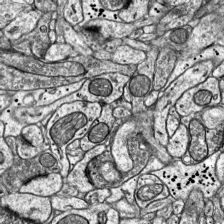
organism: Mouse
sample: Visual Cortex